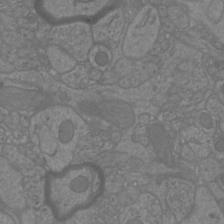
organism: Mouse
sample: Cortical neurons